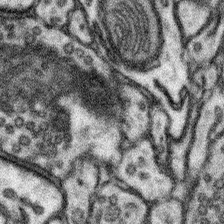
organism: Mouse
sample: Somatosensory cortex neuropil